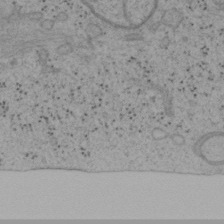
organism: Human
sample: HeLa cells